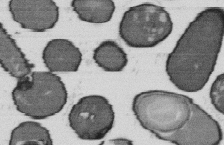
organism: B. subtilis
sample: Bacterial spore